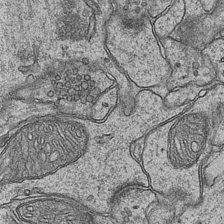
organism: Mouse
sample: CA1 Hippocampus